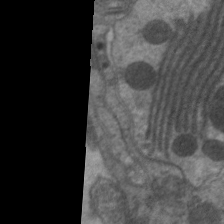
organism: C. elegans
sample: Pharynx